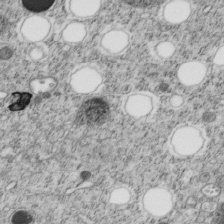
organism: C. elegans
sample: C. elegans embryo early stage